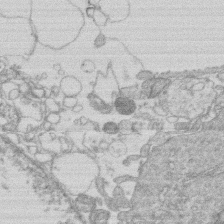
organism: Human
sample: Macrophage cells